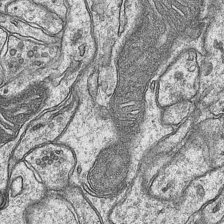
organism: Mouse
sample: CA1 Hippocampus